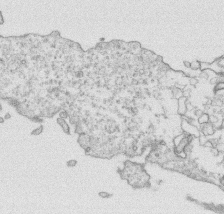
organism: Human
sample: HeLa cell HIV synapse